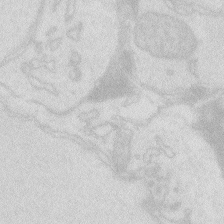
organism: Zebrafish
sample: Macrophage